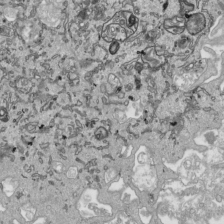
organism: Human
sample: Mitochondria in HCT116 cells